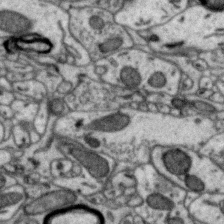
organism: Zebra finch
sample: Brain